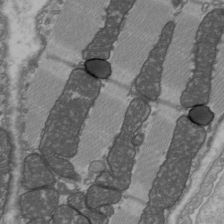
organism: C57BL Mouse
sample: Heart